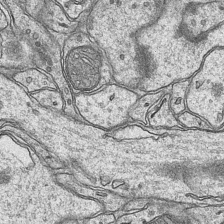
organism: Mouse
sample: CA1 Hippocampus